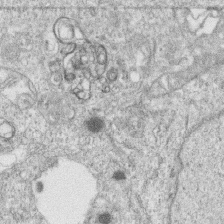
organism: Human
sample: HeLa cell HIV synapse